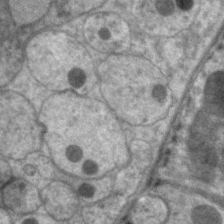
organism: C. elegans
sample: Pharynx